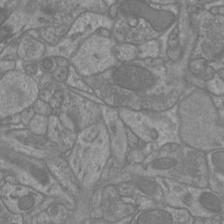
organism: Mouse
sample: Cortical neurons